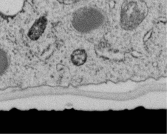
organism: C. elegans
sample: C. elegans embryo early stage